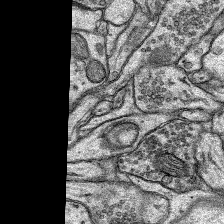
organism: Rat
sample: Hippocampus